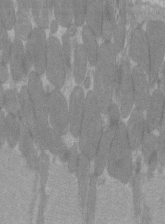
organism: C57BL Mouse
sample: Tibialis anterior muscle cell